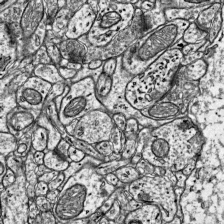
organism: Mouse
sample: Visual Cortex